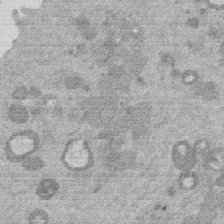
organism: Mouse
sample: Dividing mouse embryo 1 cell stage